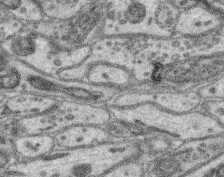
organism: Mouse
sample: Retina